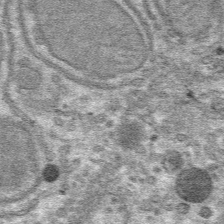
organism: Mouse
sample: Mouse hepatocytes